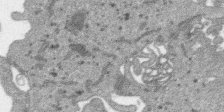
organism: Human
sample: Lung epithelial cells infected with SARS-CoV-2